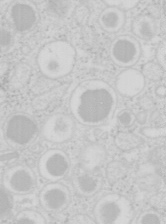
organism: Mouse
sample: Pancreas